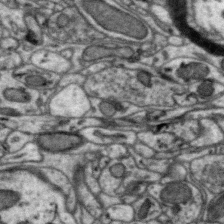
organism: Zebra finch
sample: Brain